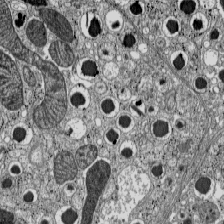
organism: C57BL Mouse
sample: Pancreatic islet